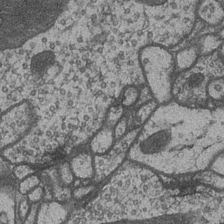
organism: Drosophila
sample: Optic medulla